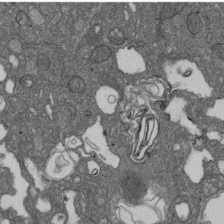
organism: Drosophila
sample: Nephrocyte